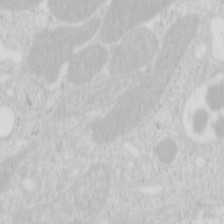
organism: Mouse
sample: Pancreas